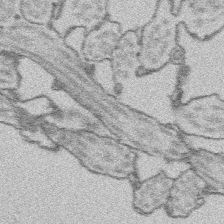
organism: Platynereis dumerilii